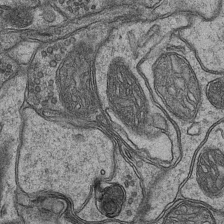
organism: Mouse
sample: CA1 Hippocampus